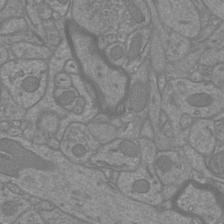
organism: Mouse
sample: Cortical neurons